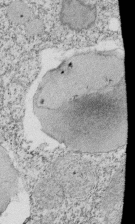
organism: Tetrahymena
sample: Cilia in tetrahymena